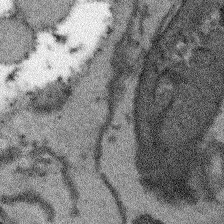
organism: Arabidopsis thaliana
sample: Root tip